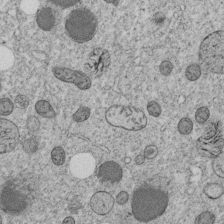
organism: C. elegans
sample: C. elegans embryo early stage